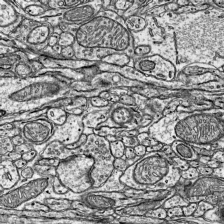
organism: Mouse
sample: Visual Cortex